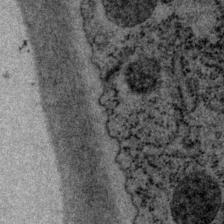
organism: P. pacificus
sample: Pharynx